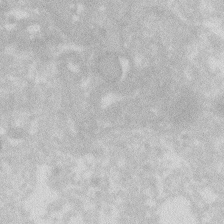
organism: Zebrafish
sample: Macrophage